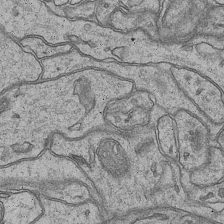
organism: Mouse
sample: CA1 Hippocampus